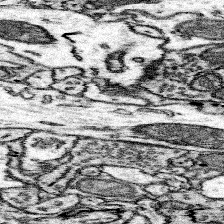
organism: Mouse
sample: Somatosensory cortex neuropil